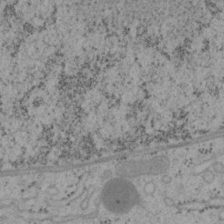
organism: Human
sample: HeLa cells